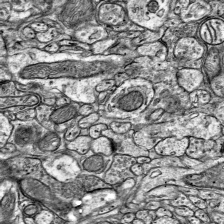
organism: Mouse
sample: Visual Cortex